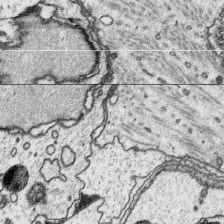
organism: Platynereis dumerilii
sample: Parapodia